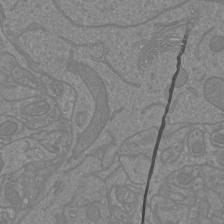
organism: Mouse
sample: Cortical neurons